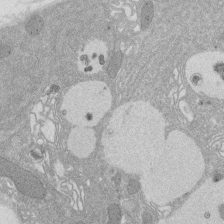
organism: Rat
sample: Salivary granule